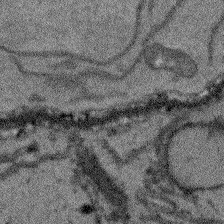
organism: Arabidopsis thaliana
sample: Root tip